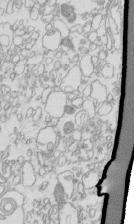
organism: Mouse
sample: Macrophages